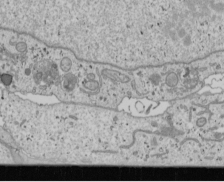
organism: Human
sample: Mitochondria in U2OS cells